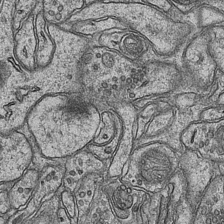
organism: Mouse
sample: CA1 Hippocampus